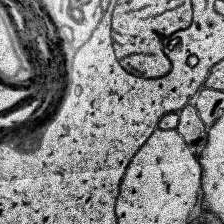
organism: Human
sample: Temporal Lobe